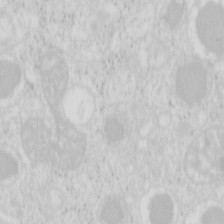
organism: Mouse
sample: Pancreas